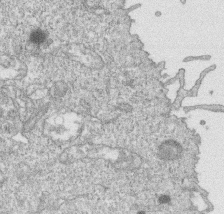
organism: Human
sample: HeLa cell HIV synapse